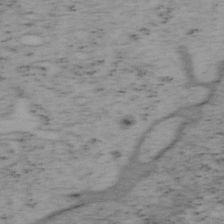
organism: Mouse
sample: OT-I killer T cells with ID8 ovarian cancer cells